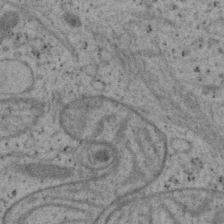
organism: Human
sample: HeLa cells